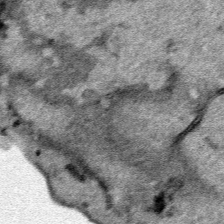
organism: Human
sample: Mitochondria in HCT116 cells